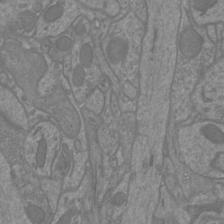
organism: Mouse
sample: Cortical neurons